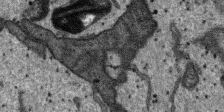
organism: Human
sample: Lung epithelial cells, uninfected (mock) control